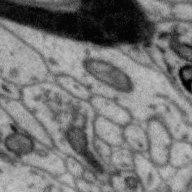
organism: Zebra finch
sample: Brain